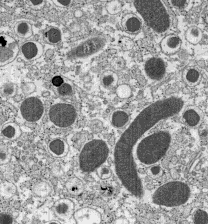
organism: C57BL Mouse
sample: Pancreatic islet